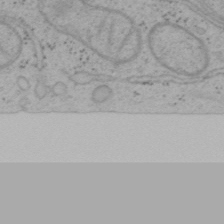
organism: Human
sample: HeLa cells